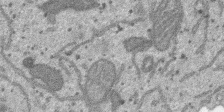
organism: Human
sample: Lung epithelial cells infected with SARS-CoV-2